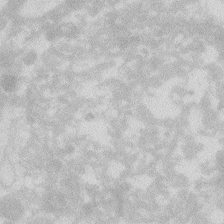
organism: Zebrafish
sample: Macrophage